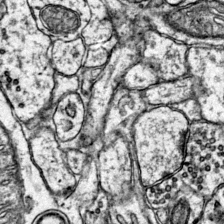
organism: Mouse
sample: Primary visual cortex